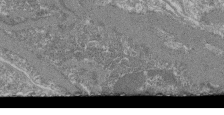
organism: Mouse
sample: Glomerulus